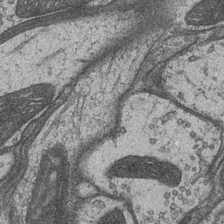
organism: Drosophila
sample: Optic medulla